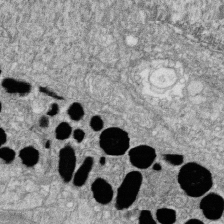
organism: Zebrafish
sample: Cilia; retinal pigment epithelium